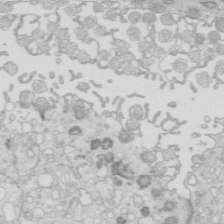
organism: Mouse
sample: Multiciliated cells